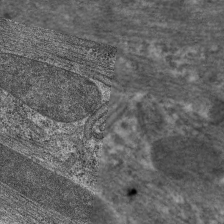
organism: C. elegans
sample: Pharynx